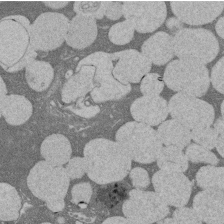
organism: Rat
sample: Salivary granule